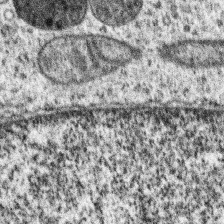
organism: Human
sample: HeLa cells